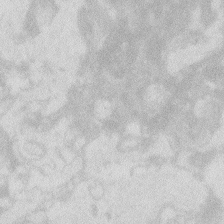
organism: Zebrafish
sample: Macrophage